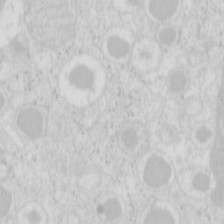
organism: Mouse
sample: Pancreas